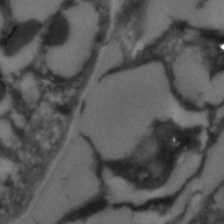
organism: C. elegans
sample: C. elegans embryo